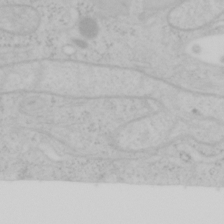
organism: Mouse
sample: OT-I killer T cells with ID8 ovarian cancer cells